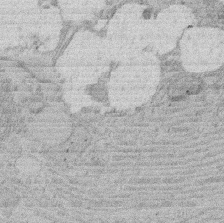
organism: Rat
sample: Salivary granule